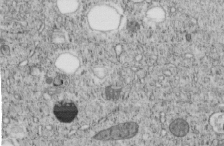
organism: C. elegans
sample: C. elegans embryo early stage